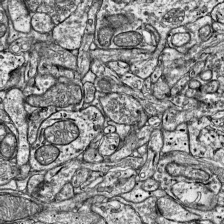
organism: Mouse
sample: Visual Cortex